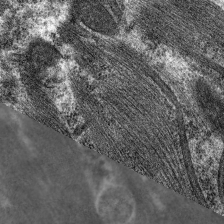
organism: C. elegans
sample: Pharynx